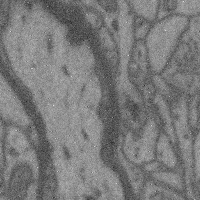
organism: Mouse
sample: Cerebral cortex